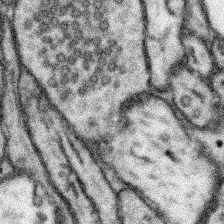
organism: Mouse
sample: Somatosensory cortex neuropil